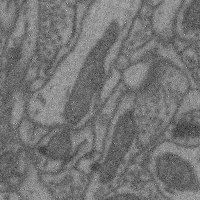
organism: Mouse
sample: Cerebral cortex